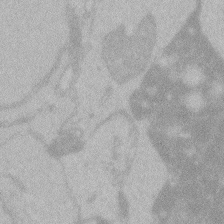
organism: Zebrafish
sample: Macrophage infected with Toxoplasma gondii